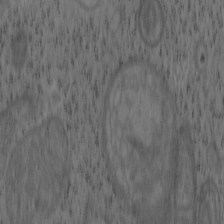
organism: Human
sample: HeLa cells